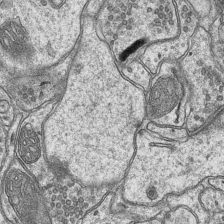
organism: Mouse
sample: CA1 Hippocampus